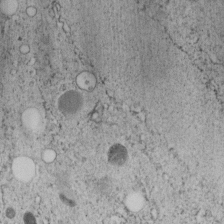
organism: C. elegans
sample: C. elegans embryo early stage